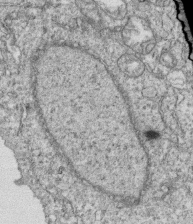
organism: Human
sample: HeLa cell HIV synapse